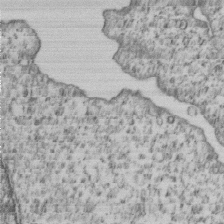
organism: Human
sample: MDA-MB-231 cells